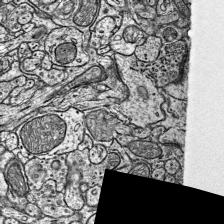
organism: Mouse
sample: Visual Cortex